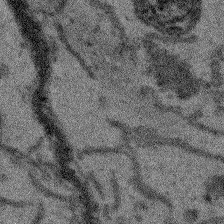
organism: Arabidopsis thaliana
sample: Root tip